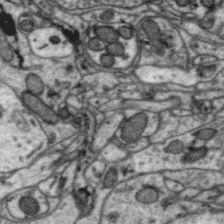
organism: Zebra finch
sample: Brain